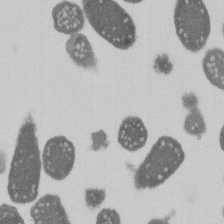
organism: E. coli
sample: Bacterial nucleoid